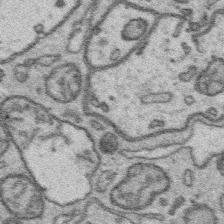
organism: Platynereis dumerilii